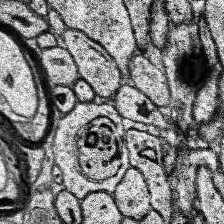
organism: Human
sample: Temporal Lobe